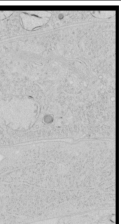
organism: Human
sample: Mitochondria in HCT116 cells